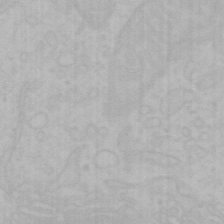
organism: Mouse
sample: Choroid plexus